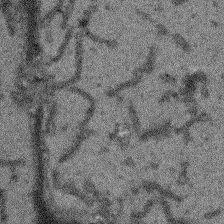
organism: Arabidopsis thaliana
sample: Root tip